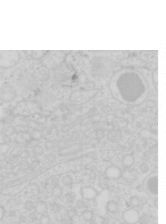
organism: Mouse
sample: Pancreas